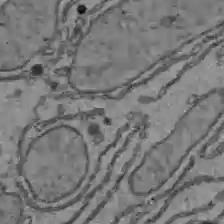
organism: C57BL Mouse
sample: Liver